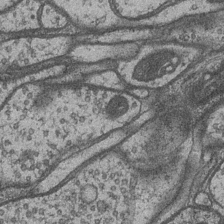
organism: Drosophila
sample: Optic medulla